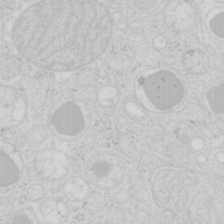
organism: Mouse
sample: Pancreas